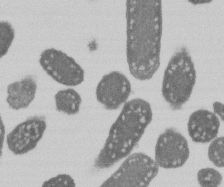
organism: E. coli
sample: Bacterial nucleoid